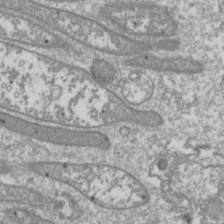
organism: Drosophila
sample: Cell division; meiosis; drosophila spermatocytes